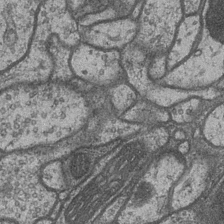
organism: Drosophila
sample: Optic medulla